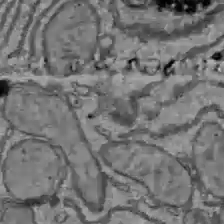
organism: C57BL Mouse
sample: Liver